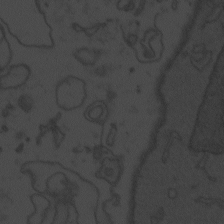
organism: Zebrafish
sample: Macrophage infected with Toxoplasma gondii